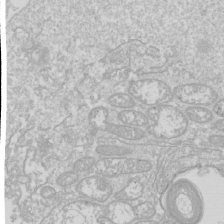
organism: Drosophila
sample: Cell division; meiosis; drosophila spermatocytes